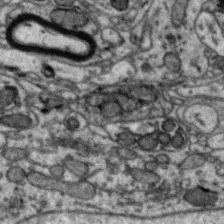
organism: Zebra finch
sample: Brain